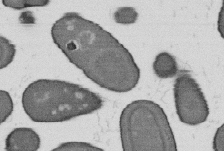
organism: B. subtilis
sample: Bacterial spore